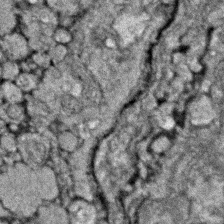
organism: Zebrafish